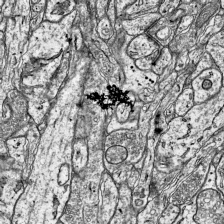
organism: Mouse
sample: Visual Cortex